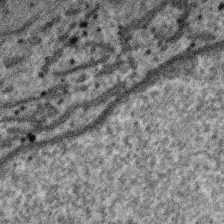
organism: Human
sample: Lung epithelial cells infected with SARS-CoV-2